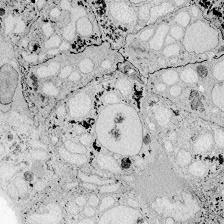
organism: Zebrafish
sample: Whole-Brain